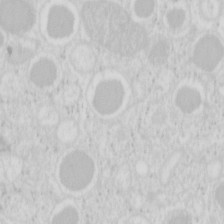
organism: Mouse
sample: Pancreas